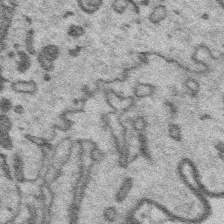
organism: Platynereis dumerilii